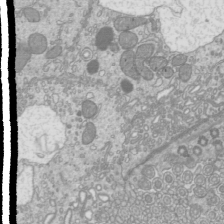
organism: Mouse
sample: Cilia; mouse epididymis